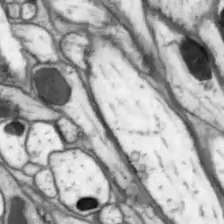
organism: Drosophila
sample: Optic lobe